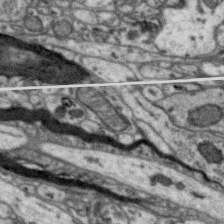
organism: Zebra finch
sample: Brain